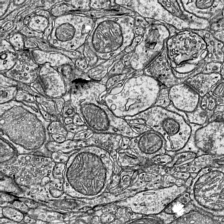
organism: Mouse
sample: Visual Cortex